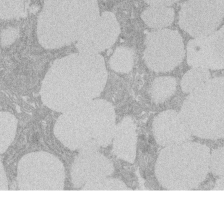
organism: Rat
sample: Salivary granule